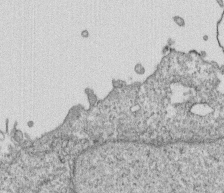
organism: Human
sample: HeLa cell HIV synapse